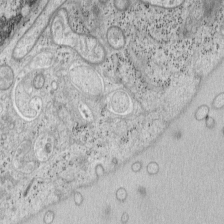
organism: Mouse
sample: OT-I killer T cells with ID8 ovarian cancer cells